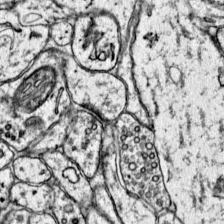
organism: Mouse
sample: Primary visual cortex